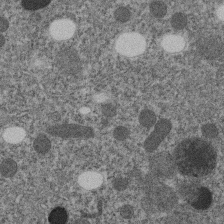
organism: C. elegans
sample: C. elegans embryo early stage